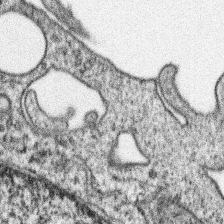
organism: Human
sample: HeLa cells